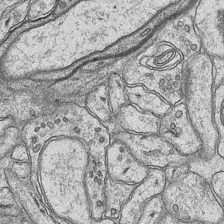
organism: Mouse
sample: CA1 Hippocampus